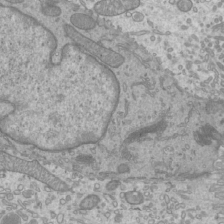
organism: Mouse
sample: Cilia; mouse epididymis